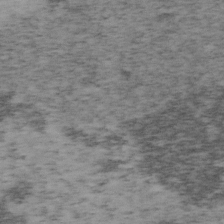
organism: Mouse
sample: OT-I killer T cells with ID8 ovarian cancer cells